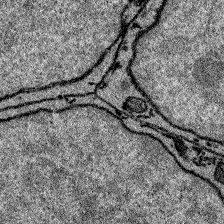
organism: Zebrafish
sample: Larval olfactory bulb